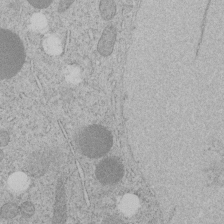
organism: C. elegans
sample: C. elegans embryo early stage